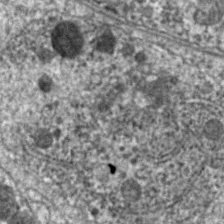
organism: C. elegans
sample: Pharynx